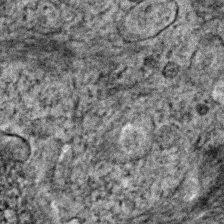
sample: Trachea